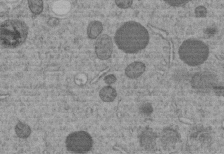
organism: C. elegans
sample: C. elegans embryo early stage